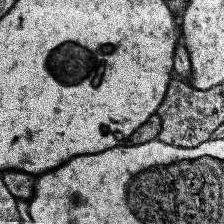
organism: Human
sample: Temporal Lobe